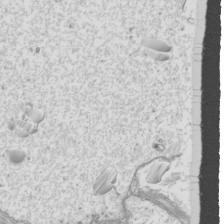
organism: Mouse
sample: Cilia; mouse epididymis